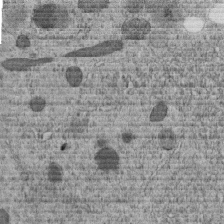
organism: C. elegans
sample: C. elegans embryo early stage